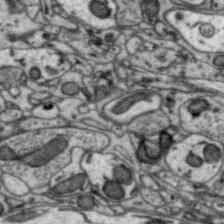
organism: Zebra finch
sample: Brain